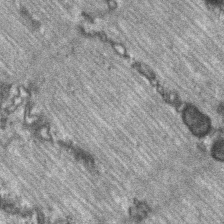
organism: C57BL Mouse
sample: Soleus